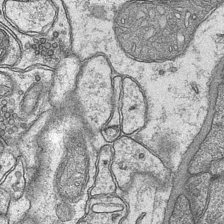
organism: Mouse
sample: CA1 Hippocampus